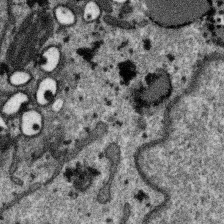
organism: Human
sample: Lung epithelial cells infected with SARS-CoV-2